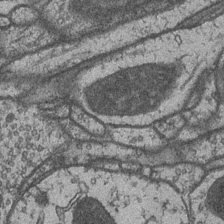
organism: Drosophila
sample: Optic medulla